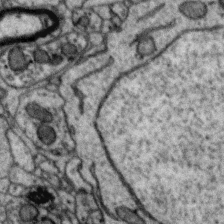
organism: Zebra finch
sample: Brain